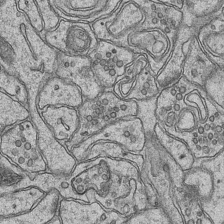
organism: Mouse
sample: CA1 Hippocampus